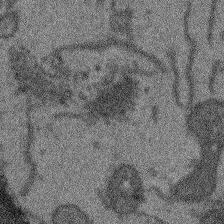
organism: Arabidopsis thaliana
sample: Root tip